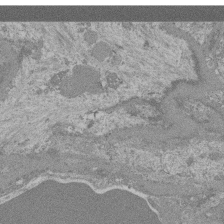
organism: Mouse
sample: Glomerulus